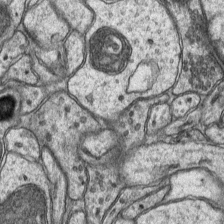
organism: Mouse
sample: CA1 Hippocampus